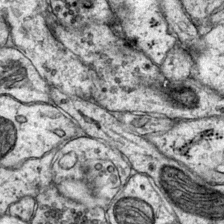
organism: Mouse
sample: Primary visual cortex